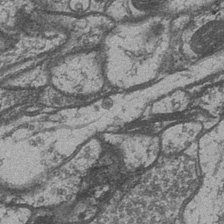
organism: Drosophila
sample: Optic medulla